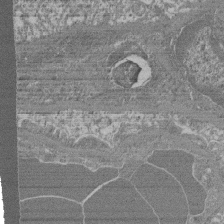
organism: Mouse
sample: Glomerulus